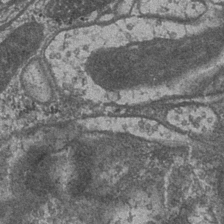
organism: Drosophila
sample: Optic medulla